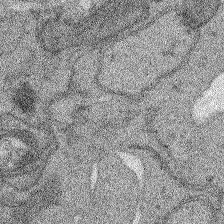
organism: Human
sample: HeLa cells